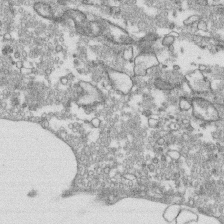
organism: Human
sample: CRL-1474